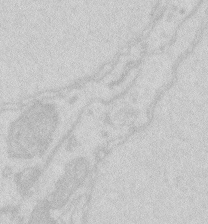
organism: Zebrafish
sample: Macrophage